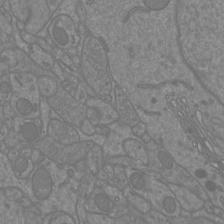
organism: Mouse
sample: Cortical neurons